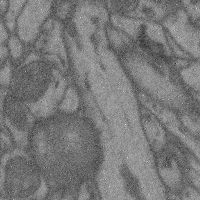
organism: Mouse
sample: Cerebral cortex